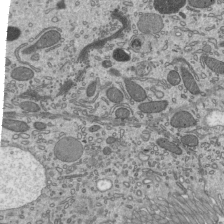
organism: Mouse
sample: Mouse epididymis efferent ductule cilia